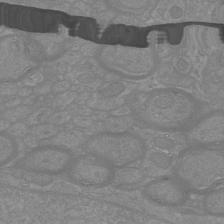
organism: Mouse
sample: Cortical neurons